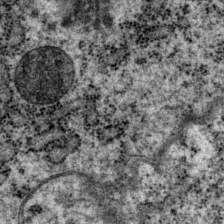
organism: P. pacificus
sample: Pharynx